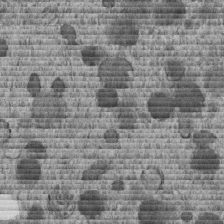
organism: C. elegans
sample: C. elegans embryo early stage